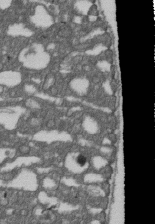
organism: Drosophila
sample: Nephrocyte